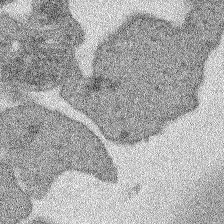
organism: Human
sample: HeLa cells